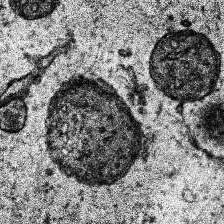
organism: Human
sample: Temporal Lobe